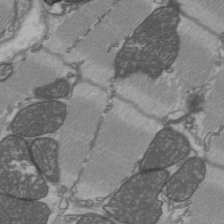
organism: C57BL Mouse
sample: Heart